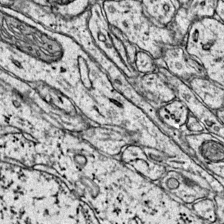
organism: Mouse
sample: Primary visual cortex